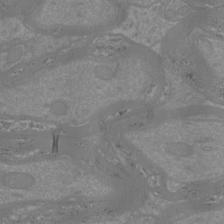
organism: Mouse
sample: Cortical neurons